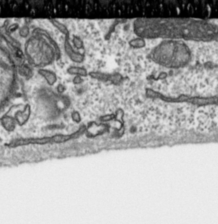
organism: Toxoplasma gondii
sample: Parasites in a vacuole inside a host cell